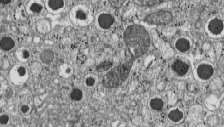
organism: C57BL Mouse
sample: Pancreatic islet